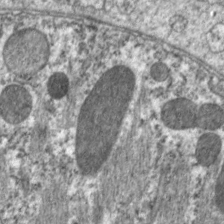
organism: C. elegans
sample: Pharynx